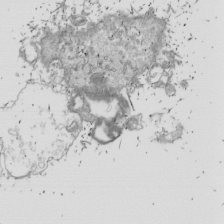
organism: Drosophila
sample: Cell division; meiosis; drosophila spermatocytes